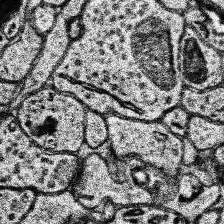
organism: Human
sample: Temporal Lobe